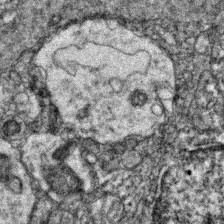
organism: Zebrafish